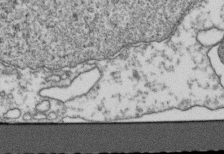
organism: Human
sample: Activated Jurkat CD4+ T cells